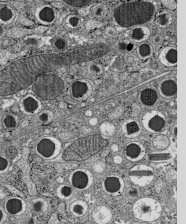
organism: C57BL Mouse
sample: Pancreatic islet